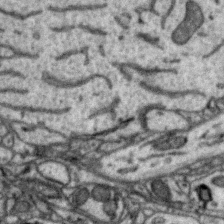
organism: Zebra finch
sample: Brain